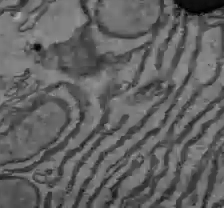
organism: C57BL Mouse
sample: Liver